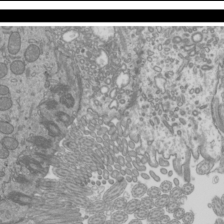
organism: Mouse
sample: Cilia; mouse epididymis